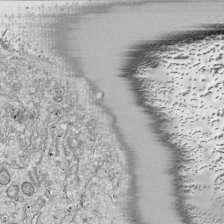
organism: Drosophila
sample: Cell division; meiosis; drosophila spermatocytes